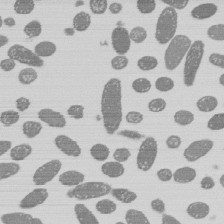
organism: E. coli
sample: Bacterial nucleoid